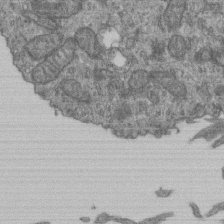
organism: Human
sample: Retinal organoid Rod and Cone cells